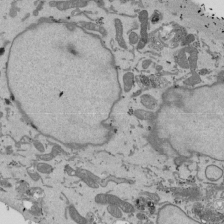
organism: Mouse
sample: ED-1 cell nuclei; centrioles